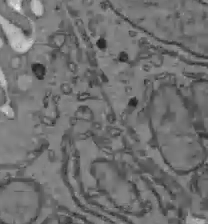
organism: C57BL Mouse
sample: Liver